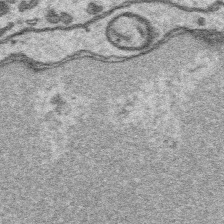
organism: Platynereis dumerilii